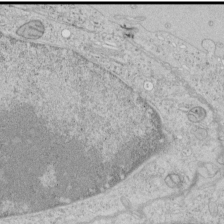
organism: Human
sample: Mitochondria in HCT116 cells